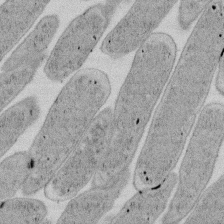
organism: E. coli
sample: Bacterial nucleoid